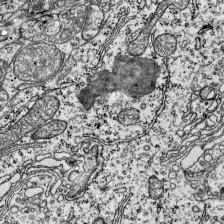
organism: Mouse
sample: Visual Cortex